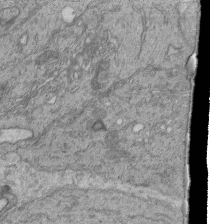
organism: Human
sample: Retinal organoid Rod and Cone cells